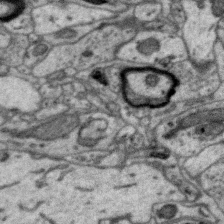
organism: Zebra finch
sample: Brain